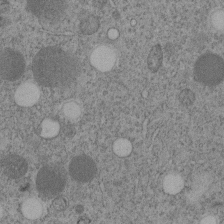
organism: C. elegans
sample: C. elegans embryo early stage